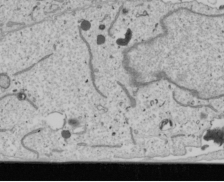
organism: Human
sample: Mitochondria in U2OS cells